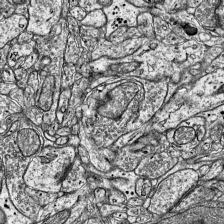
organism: Mouse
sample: Visual Cortex